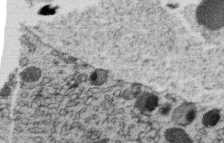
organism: C. elegans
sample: C. elegans oocyte; sperm cells